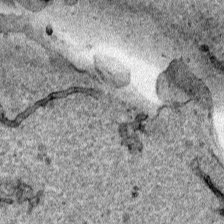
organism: Human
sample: Mitochondria in HCT116 cells